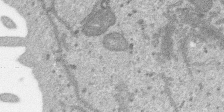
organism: Human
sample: Lung epithelial cells infected with SARS-CoV-2